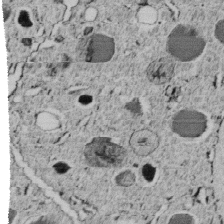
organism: C. elegans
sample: C. elegans embryo early stage